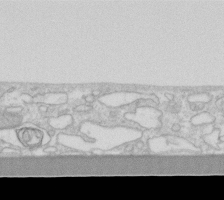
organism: Human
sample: Fibroblast cells